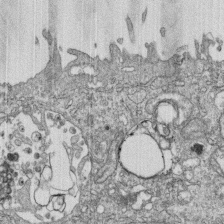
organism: Human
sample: HeLa cell HIV synapse